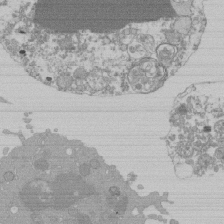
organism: Mouse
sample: Activated Pmel transgenic CD8+ T Cells